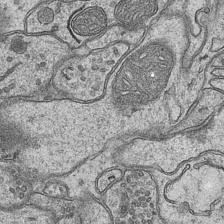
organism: Mouse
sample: CA1 Hippocampus